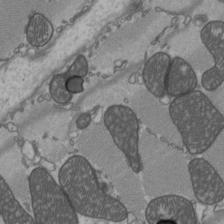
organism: C57BL Mouse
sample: Heart